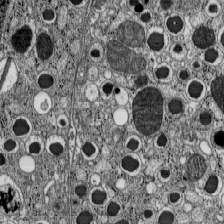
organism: C57BL Mouse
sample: Pancreatic islet